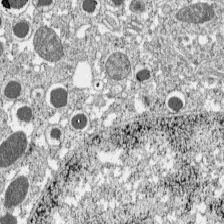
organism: C57BL Mouse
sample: Pancreatic islet